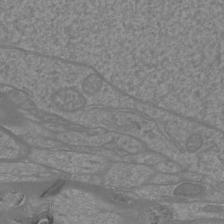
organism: Mouse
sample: Cortical neurons